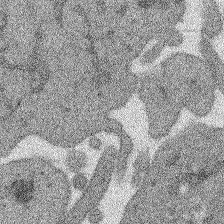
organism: Human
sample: HeLa cells